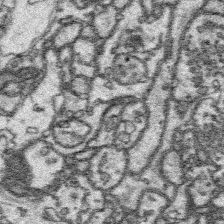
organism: Platynereis dumerilii